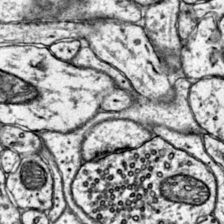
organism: Mouse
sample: Primary visual cortex